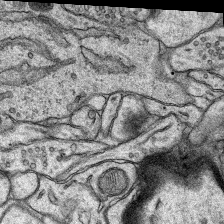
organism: Rat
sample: Hippocampus